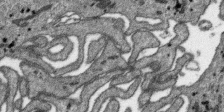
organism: Human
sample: Lung epithelial cells, uninfected (mock) control